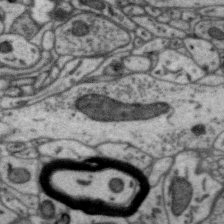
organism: Zebra finch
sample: Brain